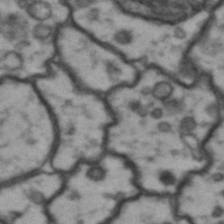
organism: Drosophila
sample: Brain